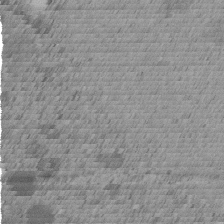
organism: C. elegans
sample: C. elegans embryo early stage